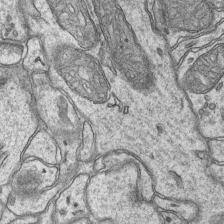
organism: Mouse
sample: CA1 Hippocampus